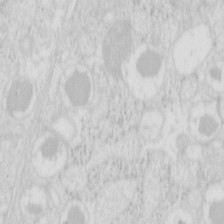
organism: Mouse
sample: Pancreas